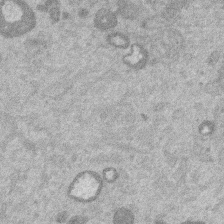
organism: Mouse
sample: Dividing mouse embryo 1 cell stage